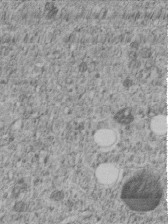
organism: C. elegans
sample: C. elegans embryo early stage